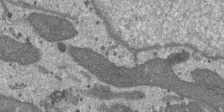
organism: Human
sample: Lung epithelial cells infected with SARS-CoV-2